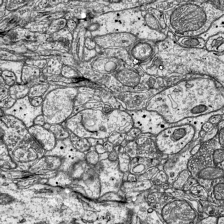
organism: Mouse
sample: Visual Cortex